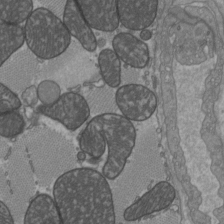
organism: C57BL Mouse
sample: Heart